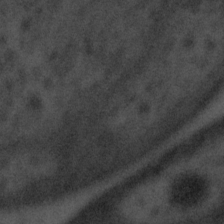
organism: Tuwongella immobilis